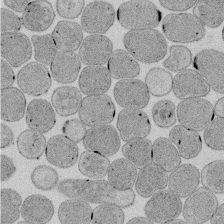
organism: E. coli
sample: Bacterial nucleoid